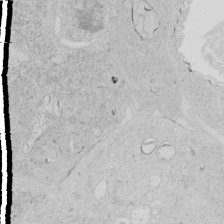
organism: Human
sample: Mitochondria in HCT116 cells